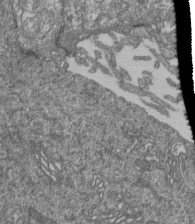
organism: Human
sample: Retinal organoid Rod and Cone cells